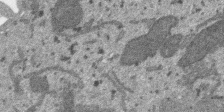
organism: Human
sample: Lung epithelial cells infected with SARS-CoV-2